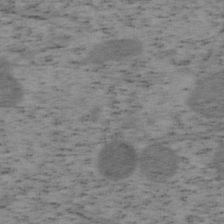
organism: Mouse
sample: OT-I killer T cells with ID8 ovarian cancer cells